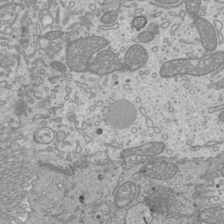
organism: Mouse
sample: Cilia; mouse epididymis